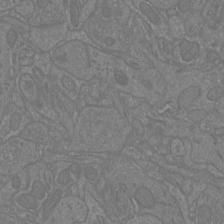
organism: Mouse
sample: Cortical neurons